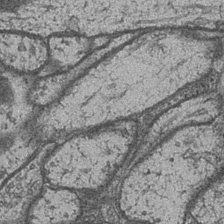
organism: Drosophila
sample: Optic medulla